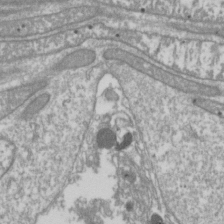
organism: Drosophila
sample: Cell division; meiosis; drosophila spermatocytes